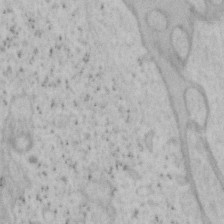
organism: Human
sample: HeLa cells